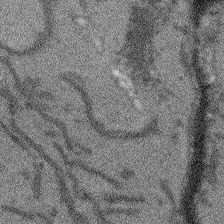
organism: Arabidopsis thaliana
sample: Root tip